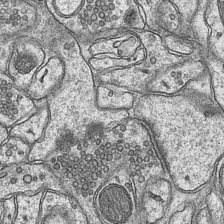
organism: Mouse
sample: CA1 Hippocampus